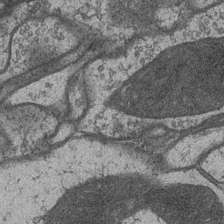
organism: Drosophila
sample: Optic medulla